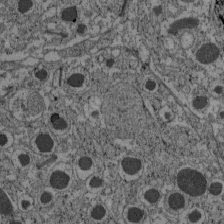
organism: C57BL Mouse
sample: Pancreatic islet